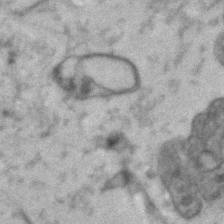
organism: Human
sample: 1205lu cells